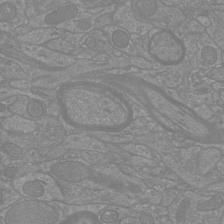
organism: Mouse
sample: Cortical neurons